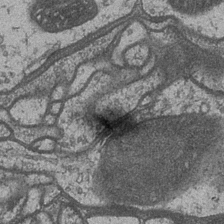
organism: Drosophila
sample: Optic medulla